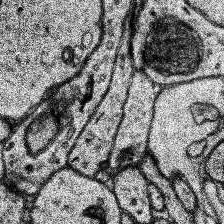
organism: Human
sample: Temporal Lobe